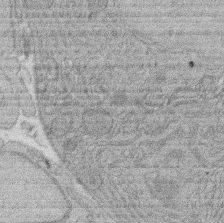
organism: Rat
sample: Salivary granule